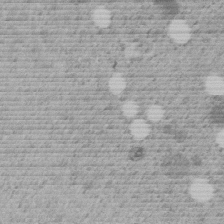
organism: C. elegans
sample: C. elegans embryo early stage